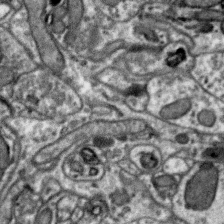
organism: Zebra finch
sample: Brain